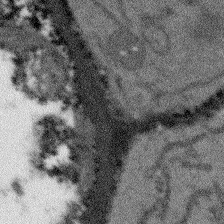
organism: Arabidopsis thaliana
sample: Root tip